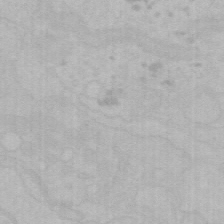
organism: Mouse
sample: Choroid plexus